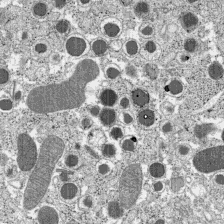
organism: C57BL Mouse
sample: Pancreatic islet